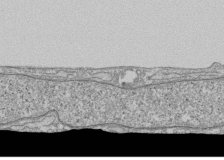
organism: Human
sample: Fibroblast cells